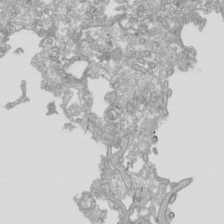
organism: Human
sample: Mitochondria in HCT116 cells